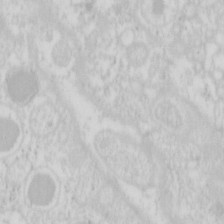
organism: Mouse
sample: Pancreas